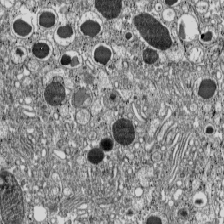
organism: C57BL Mouse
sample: Pancreatic islet